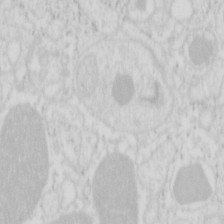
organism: Mouse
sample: Pancreas